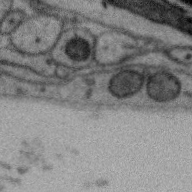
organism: Zebra finch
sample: Brain